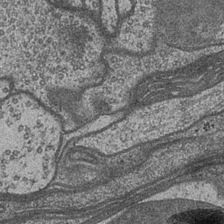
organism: Drosophila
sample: Optic medulla